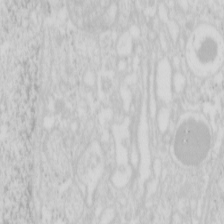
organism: Mouse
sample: Pancreas